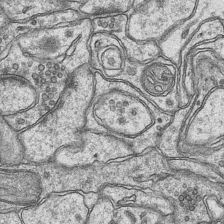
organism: Mouse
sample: CA1 Hippocampus